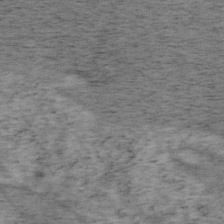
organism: Mouse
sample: OT-I killer T cells with ID8 ovarian cancer cells